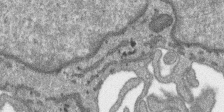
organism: Human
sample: Lung epithelial cells infected with SARS-CoV-2